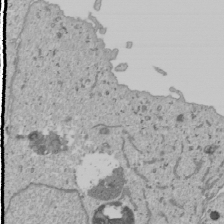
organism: Human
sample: Mitochondria in U2OS cells